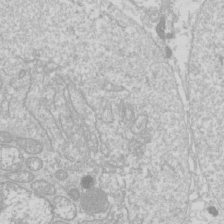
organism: Drosophila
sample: Cell division; meiosis; drosophila spermatocytes